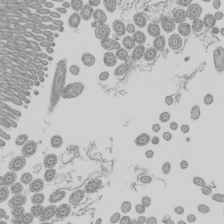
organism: Mouse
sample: Cilia; mouse epididymis